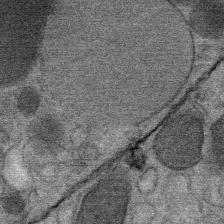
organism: Mouse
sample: Mouse Salivary gland